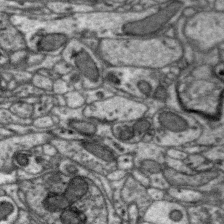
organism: Zebra finch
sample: Brain